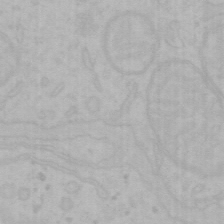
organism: Mouse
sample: Choroid plexus